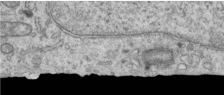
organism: Human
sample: Centriole in RPE cells